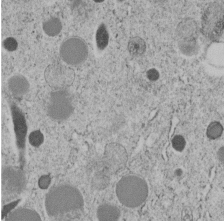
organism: C. elegans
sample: C. elegans embryo early stage